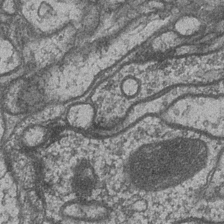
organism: Drosophila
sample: Optic medulla